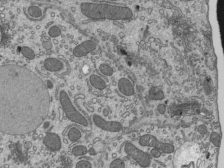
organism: Mouse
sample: Mouse epididymis efferent ductule cilia